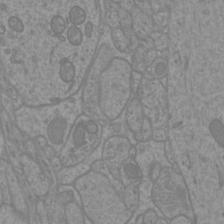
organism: Mouse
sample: Cortical neurons